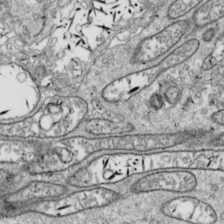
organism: Drosophila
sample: Cell division; meiosis; drosophila spermatocytes